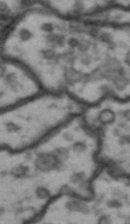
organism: Drosophila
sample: Brain